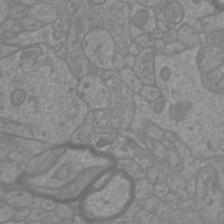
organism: Mouse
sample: Cortical neurons